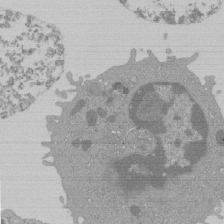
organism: Mouse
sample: Activated Pmel transgenic CD8+ T Cells